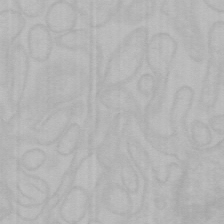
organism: Mouse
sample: Choroid plexus